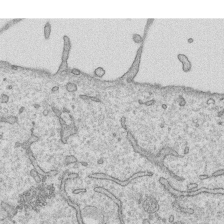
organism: Human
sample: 1205lu cells